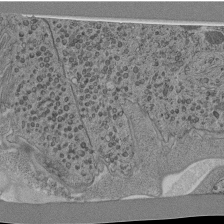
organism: C. elegans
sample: C. elegans pharynx